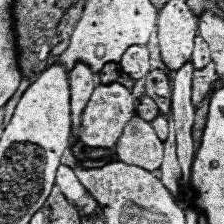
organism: Human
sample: Temporal Lobe